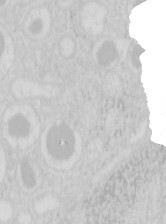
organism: Mouse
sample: Pancreas